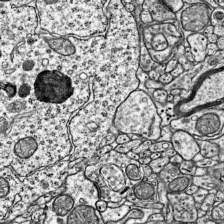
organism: Mouse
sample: Visual Cortex